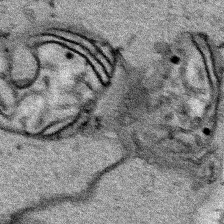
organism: Human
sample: Mitochondria in HCT116 cells